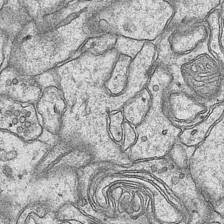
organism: Mouse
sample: CA1 Hippocampus